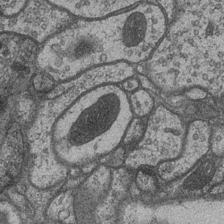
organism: Drosophila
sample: Optic medulla